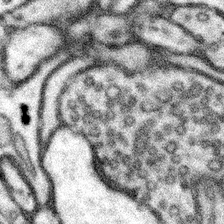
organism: Mouse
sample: Somatosensory cortex neuropil